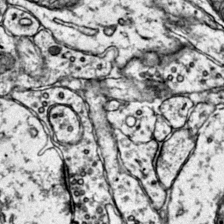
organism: Mouse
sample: Primary visual cortex